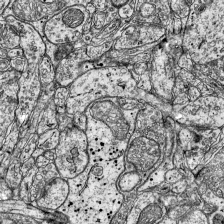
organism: Mouse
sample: Visual Cortex